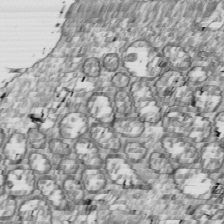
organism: Drosophila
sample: Cell division; meiosis; drosophila spermatocytes